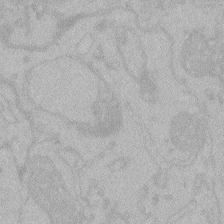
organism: Zebrafish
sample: Macrophage infected with Toxoplasma gondii